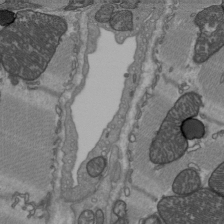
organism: C57BL Mouse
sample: Heart